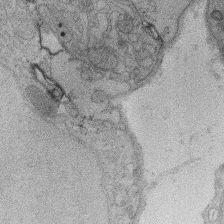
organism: Rat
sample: Salivary granule